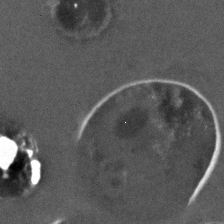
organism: C. elegans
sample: C. elegans embryo